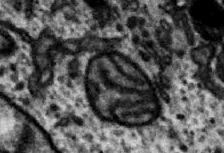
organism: Human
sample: HeLa cells